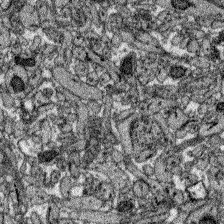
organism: Zebrafish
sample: Larval olfactory bulb